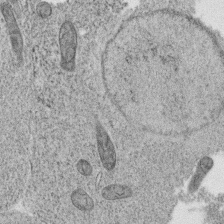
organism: C. elegans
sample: C. elegans oocyte; sperm cells